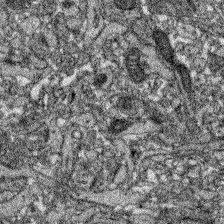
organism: Zebrafish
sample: Larval olfactory bulb